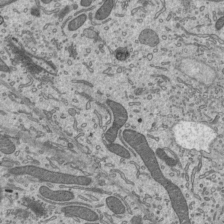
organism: Mouse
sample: Mouse epididymis efferent ductule cilia